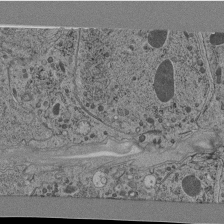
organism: C. elegans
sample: C. elegans pharynx